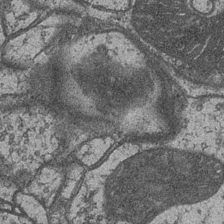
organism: Drosophila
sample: Optic medulla